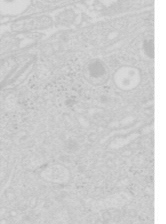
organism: Mouse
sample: Pancreas